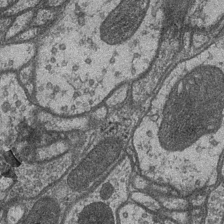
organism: Drosophila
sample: Optic medulla